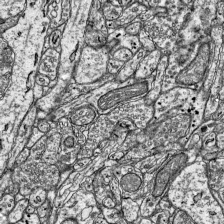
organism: Mouse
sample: Visual Cortex